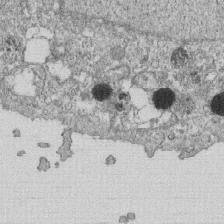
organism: Human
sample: HeLa cell HIV synapse